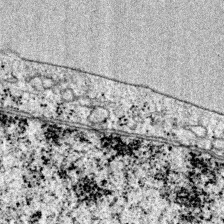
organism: Human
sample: HeLa cells